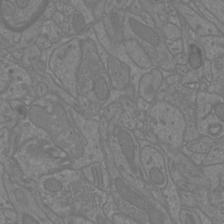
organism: Mouse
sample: Cortical neurons